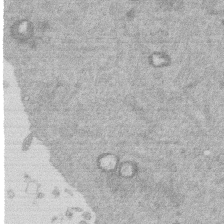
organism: Mouse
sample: Dividing mouse embryo 1 cell stage